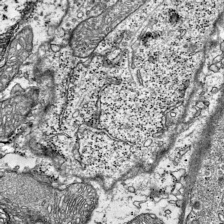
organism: Mouse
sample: Visual Cortex